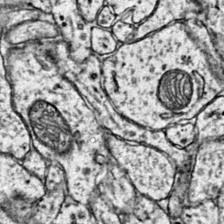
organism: Mouse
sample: Primary visual cortex